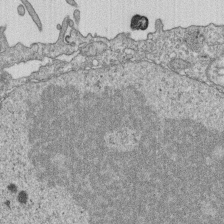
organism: Human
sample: HeLa cell HIV synapse